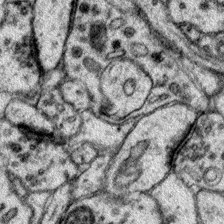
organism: Mouse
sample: Primary visual cortex